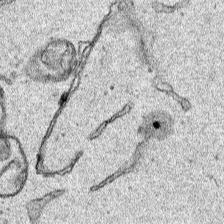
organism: Human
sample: Mitochondria in HCT116 cells